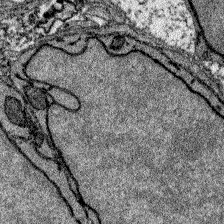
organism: Zebrafish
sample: Larval olfactory bulb